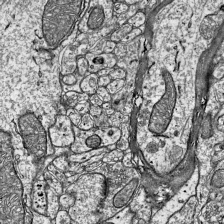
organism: Mouse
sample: Visual Cortex